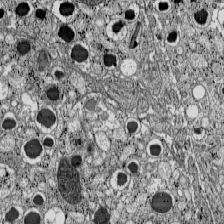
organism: C57BL Mouse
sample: Pancreatic islet